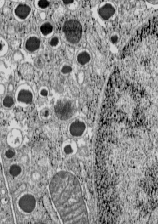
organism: C57BL Mouse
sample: Pancreatic islet